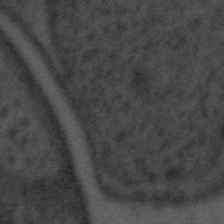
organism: Tuwongella immobilis